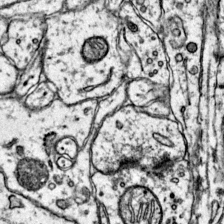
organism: Mouse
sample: Primary visual cortex